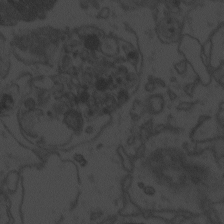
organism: Zebrafish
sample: Macrophage infected with Toxoplasma gondii